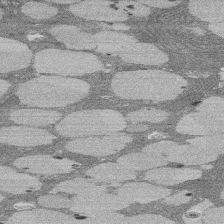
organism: Rat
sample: Salivary granule